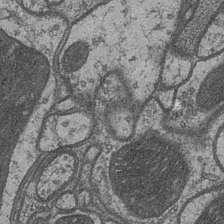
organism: Drosophila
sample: Optic medulla